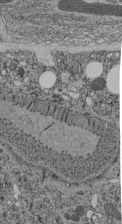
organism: C. elegans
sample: C. elegans pharynx